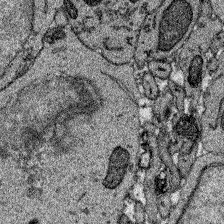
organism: Zebrafish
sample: Larval olfactory bulb